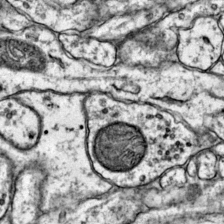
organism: Mouse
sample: Primary visual cortex